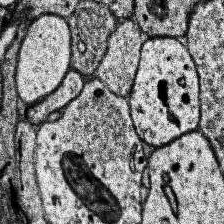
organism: Human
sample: Temporal Lobe